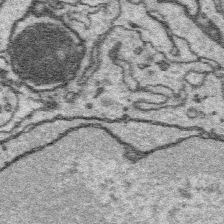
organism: Platynereis dumerilii